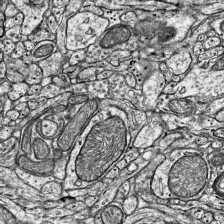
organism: Mouse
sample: Visual Cortex